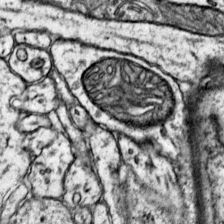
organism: Mouse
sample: Primary visual cortex